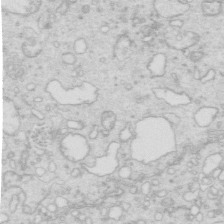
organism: Mouse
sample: Multiciliated cells